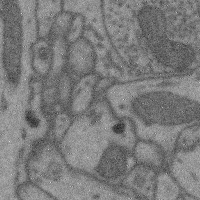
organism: Mouse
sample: Cerebral cortex